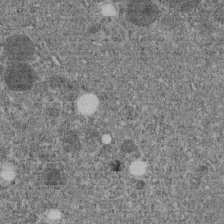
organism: C. elegans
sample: C. elegans embryo early stage